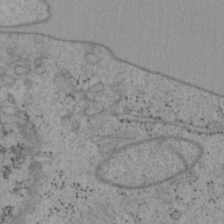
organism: Human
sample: HeLa cells